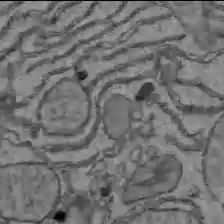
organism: C57BL Mouse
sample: Liver